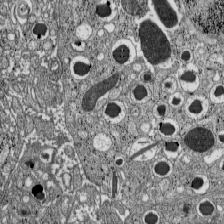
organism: C57BL Mouse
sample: Pancreatic islet